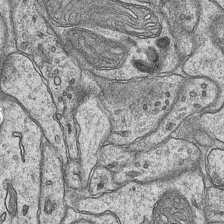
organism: Mouse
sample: CA1 Hippocampus